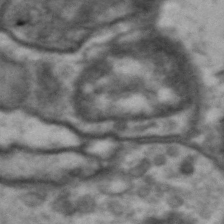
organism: Drosophila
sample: Brain